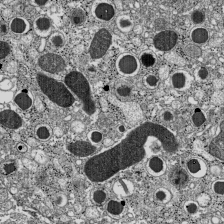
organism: C57BL Mouse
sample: Pancreatic islet